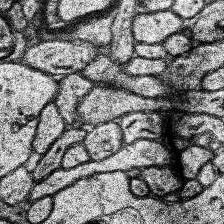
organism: Human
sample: Temporal Lobe